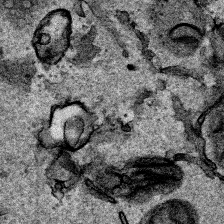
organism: Human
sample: Mitochondria in HCT116 cells